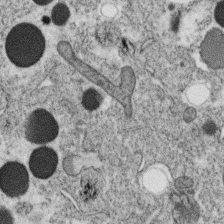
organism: C. elegans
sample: C. elegans oocyte; sperm cells